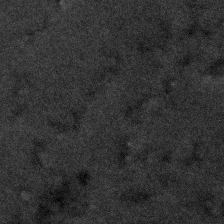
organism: Human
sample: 1205lu cells